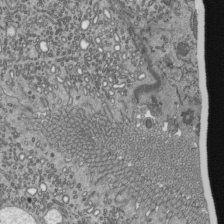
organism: Mouse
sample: Mouse epididymis efferent ductule cilia